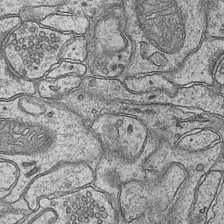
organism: Mouse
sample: CA1 Hippocampus